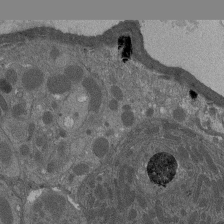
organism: Drosophila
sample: Antenna